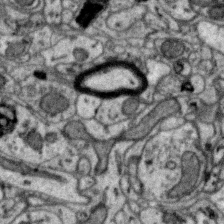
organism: Zebra finch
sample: Brain